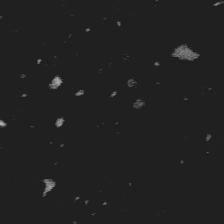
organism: Platynereis dumerilii